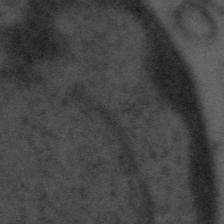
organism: Tuwongella immobilis